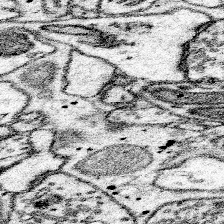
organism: Mouse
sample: Somatosensory cortex neuropil